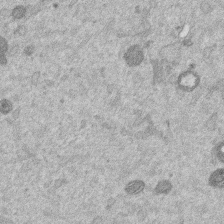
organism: Mouse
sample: Dividing mouse embryo 1 cell stage